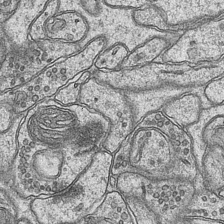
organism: Mouse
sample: CA1 Hippocampus